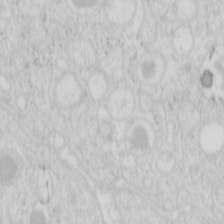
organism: Mouse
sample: Pancreas